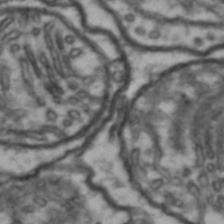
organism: Drosophila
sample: Brain